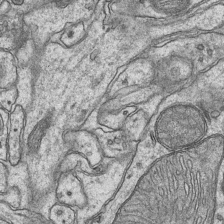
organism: Mouse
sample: CA1 Hippocampus